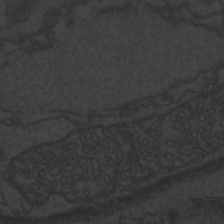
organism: Zebrafish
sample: Macrophage infected with Toxoplasma gondii